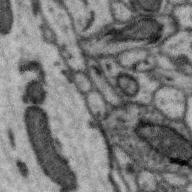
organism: Zebra finch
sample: Brain